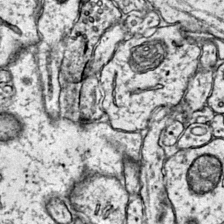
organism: Mouse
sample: Primary visual cortex